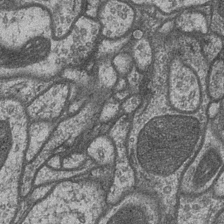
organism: Drosophila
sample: Optic medulla